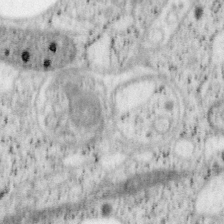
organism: Mouse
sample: OT-I killer T cells with ID8 ovarian cancer cells